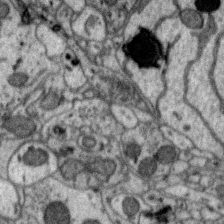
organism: Zebra finch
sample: Brain